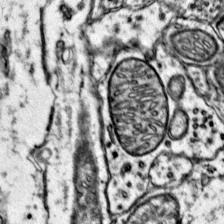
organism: Mouse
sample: Primary visual cortex